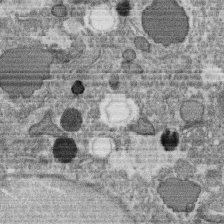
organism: C. elegans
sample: C. elegans oocyte; sperm cells